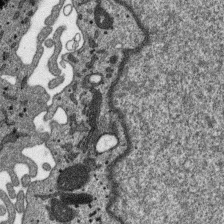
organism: Human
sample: Lung epithelial cells infected with SARS-CoV-2